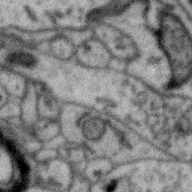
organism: Zebra finch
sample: Brain